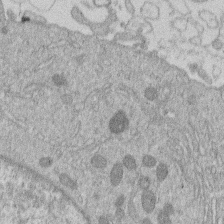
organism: Human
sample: Macrophage cells